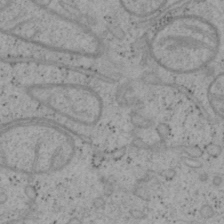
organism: Human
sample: HeLa cells